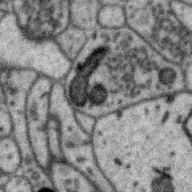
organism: Zebra finch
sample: Brain